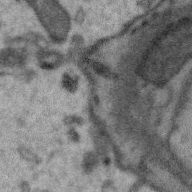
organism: Zebra finch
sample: Brain